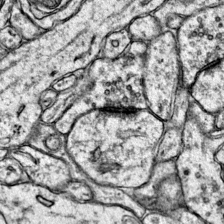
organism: Mouse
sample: Primary visual cortex